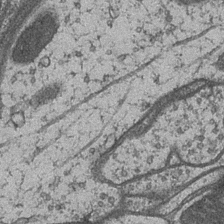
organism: Drosophila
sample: Optic medulla